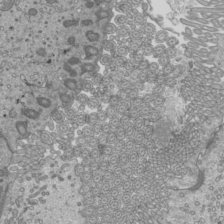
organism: Mouse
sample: Cilia; mouse epididymis